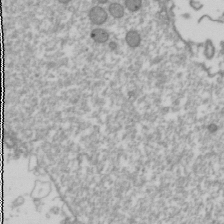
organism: Drosophila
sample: Cell division; meiosis; drosophila spermatocytes